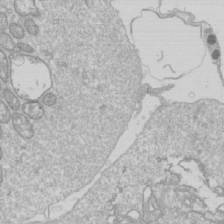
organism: Drosophila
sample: Cell division; meiosis; drosophila spermatocytes